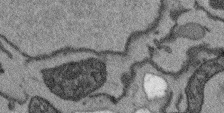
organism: Arabidopsis thaliana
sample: Root tip